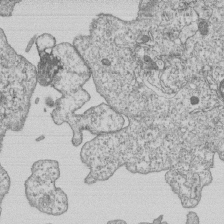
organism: Human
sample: MDA-MB-231 cells